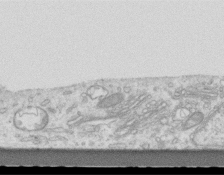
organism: Mouse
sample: Centriole in ependymal cells